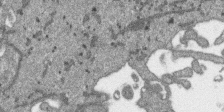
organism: Human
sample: Lung epithelial cells infected with SARS-CoV-2